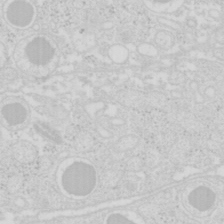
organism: Mouse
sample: Pancreas